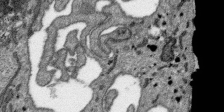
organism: Human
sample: Lung epithelial cells, uninfected (mock) control